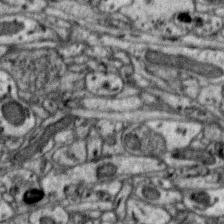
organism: Zebra finch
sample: Brain